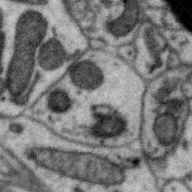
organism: Zebra finch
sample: Brain